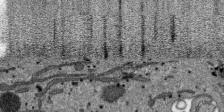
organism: Human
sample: Lung epithelial cells, uninfected (mock) control